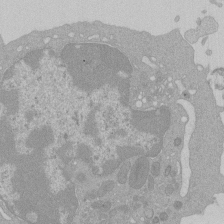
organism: Mouse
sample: Activated Pmel transgenic CD8+ T Cells